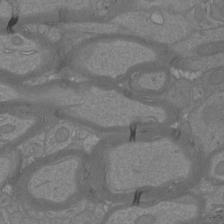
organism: Mouse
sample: Cortical neurons